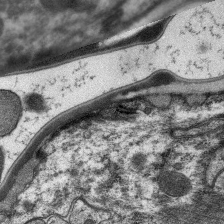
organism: C. elegans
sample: Pharynx